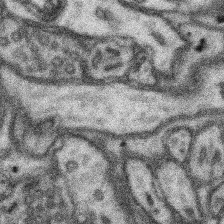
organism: Mouse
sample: Somatosensory cortex neuropil